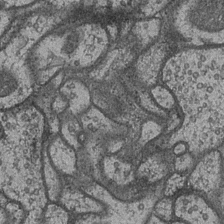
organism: Drosophila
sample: Optic medulla